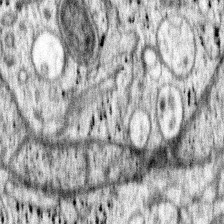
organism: Human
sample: HeLa cells